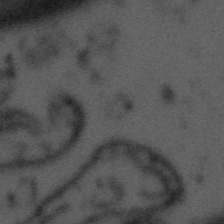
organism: Tuwongella immobilis